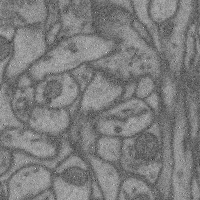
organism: Mouse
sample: Cerebral cortex